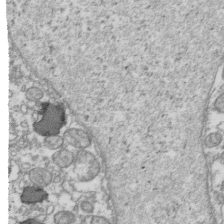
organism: Human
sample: Activated Jurkat CD4+ T cells